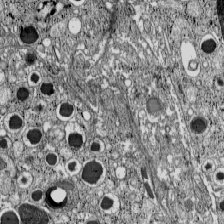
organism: C57BL Mouse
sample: Pancreatic islet